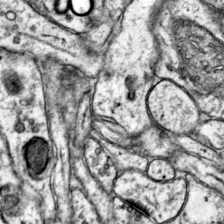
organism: Mouse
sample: Primary visual cortex